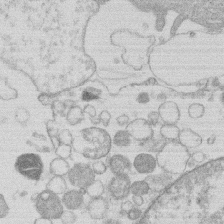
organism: Human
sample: Macrophage cells